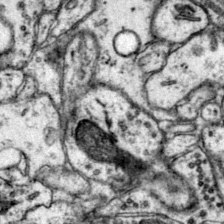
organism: Mouse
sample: Primary visual cortex